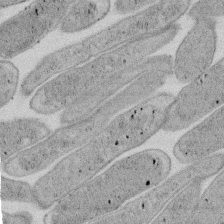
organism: E. coli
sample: Bacterial nucleoid